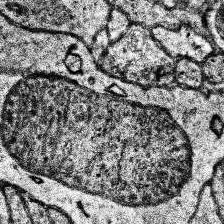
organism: Human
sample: Temporal Lobe